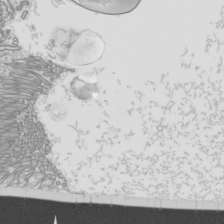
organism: Mouse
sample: Cilia; mouse epididymis